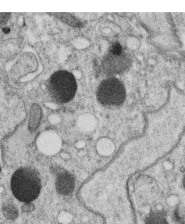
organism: C. elegans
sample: C. elegans oocyte; sperm cells